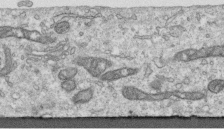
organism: Human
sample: Centriole in RPE cells